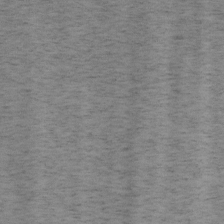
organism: Mouse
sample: OT-I killer T cells with ID8 ovarian cancer cells